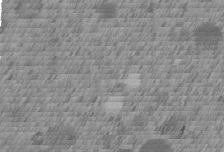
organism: C. elegans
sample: C. elegans embryo early stage